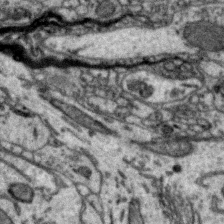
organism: Zebra finch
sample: Brain